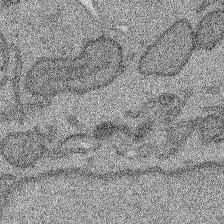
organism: Human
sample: HeLa cells